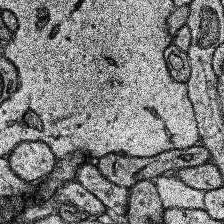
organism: Human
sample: Temporal Lobe